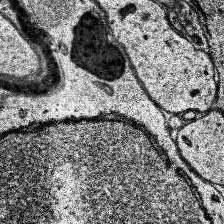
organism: Human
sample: Temporal Lobe